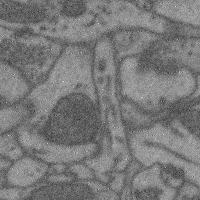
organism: Mouse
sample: Cerebral cortex